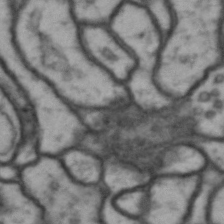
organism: Drosophila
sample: Brain